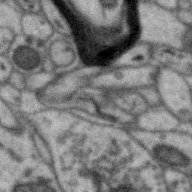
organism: Zebra finch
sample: Brain